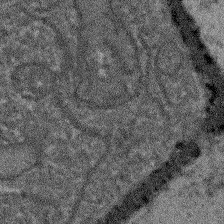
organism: Arabidopsis thaliana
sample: Root tip